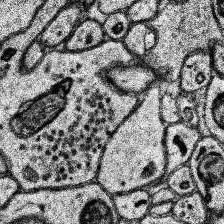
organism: Human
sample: Temporal Lobe